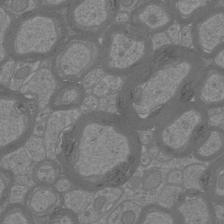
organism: Mouse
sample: Cortical neurons